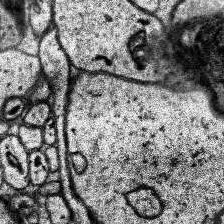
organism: Human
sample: Temporal Lobe